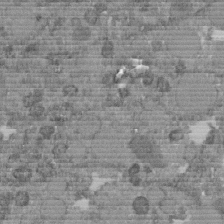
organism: C. elegans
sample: C. elegans embryo early stage